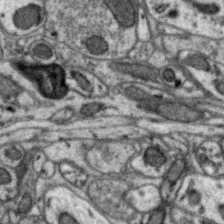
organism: Zebra finch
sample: Brain